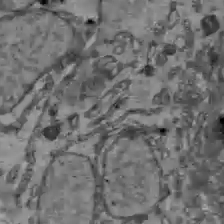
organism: C57BL Mouse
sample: Liver